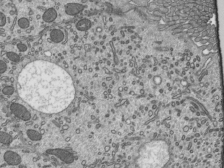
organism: Mouse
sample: Mouse epididymis efferent ductule cilia